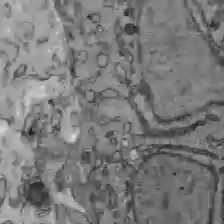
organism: C57BL Mouse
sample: Liver